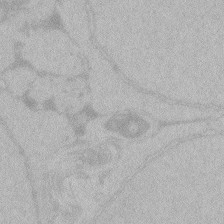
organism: Zebrafish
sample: Macrophage infected with Toxoplasma gondii